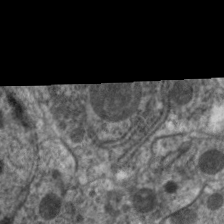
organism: C. elegans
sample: Pharynx